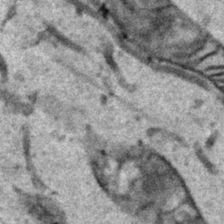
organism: Human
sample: Mitochondria in HCT116 cells